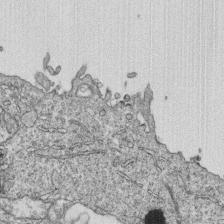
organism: Human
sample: HeLa cell HIV synapse